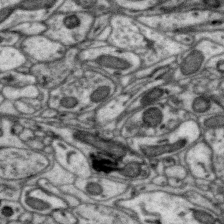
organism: Zebra finch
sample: Brain